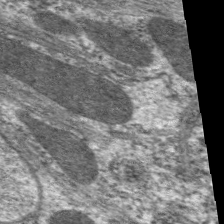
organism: C. elegans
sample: Pharynx